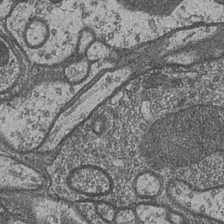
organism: Drosophila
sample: Optic medulla